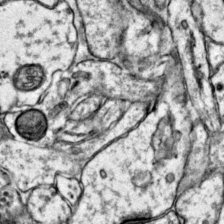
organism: Mouse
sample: Primary visual cortex